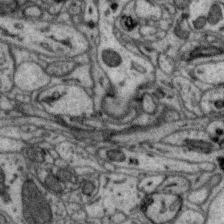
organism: Zebra finch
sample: Brain